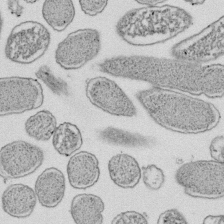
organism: E. coli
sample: Bacterial nucleoid